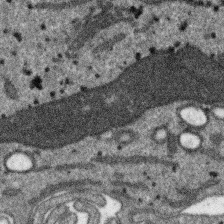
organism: Human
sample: Lung epithelial cells infected with SARS-CoV-2